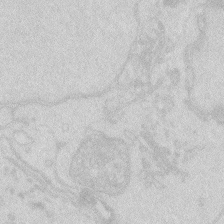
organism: Zebrafish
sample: Macrophage